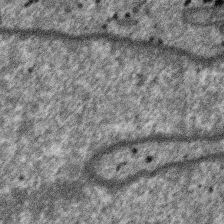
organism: Human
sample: Lung epithelial cells infected with SARS-CoV-2